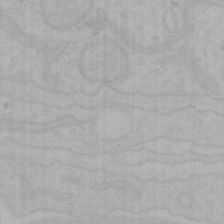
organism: Mouse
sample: Choroid plexus